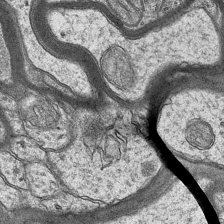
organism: Mouse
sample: CA1 Hippocampus